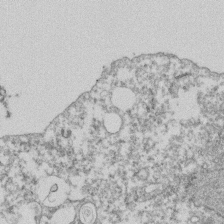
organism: Dictyostelium discoideum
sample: Dictyostelium multivesicular bodies